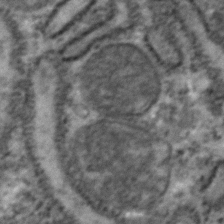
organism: Zebrafish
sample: Zebrafish embryo